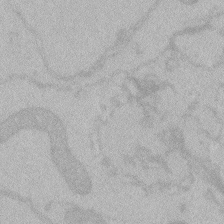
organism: Zebrafish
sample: Macrophage infected with Toxoplasma gondii